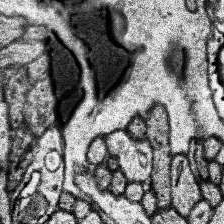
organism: Human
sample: Temporal Lobe